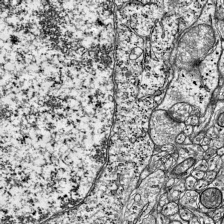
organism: Mouse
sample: Visual Cortex